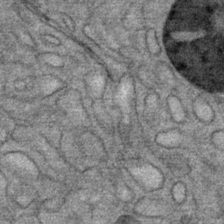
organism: Mouse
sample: Mouse Salivary gland